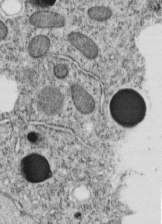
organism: C. elegans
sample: C. elegans embryo early stage